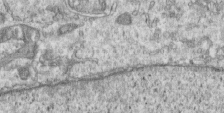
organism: Human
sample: Centriole in RPE cells